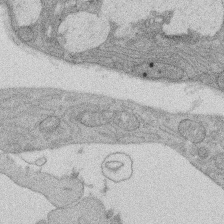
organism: Rat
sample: Salivary granule